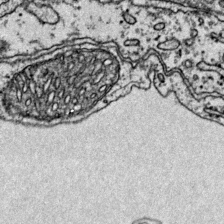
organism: Mouse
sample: Primary visual cortex